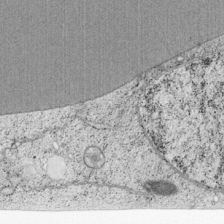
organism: African green monkey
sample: COS-7 cells